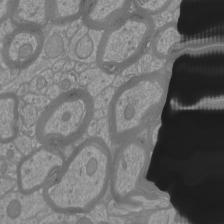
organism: Mouse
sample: Cortical neurons